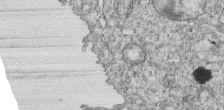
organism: Human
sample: HeLa cell HIV synapse